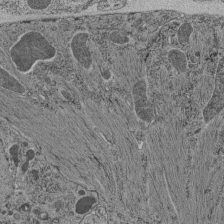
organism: C. elegans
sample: C. elegans pharynx